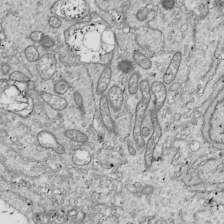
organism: Drosophila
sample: Cell division; meiosis; drosophila spermatocytes